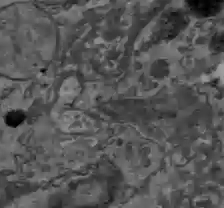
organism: C57BL Mouse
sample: Liver